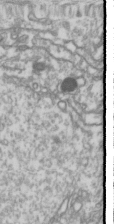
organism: Drosophila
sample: Cell division; meiosis; drosophila spermatocytes